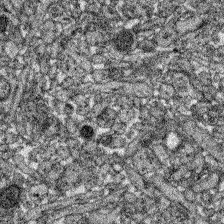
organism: Zebrafish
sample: Larval olfactory bulb